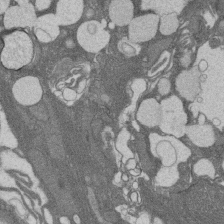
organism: Rat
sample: Salivary granule